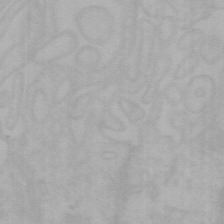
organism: Mouse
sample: Choroid plexus